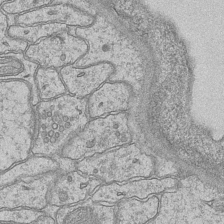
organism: Mouse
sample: CA1 Hippocampus